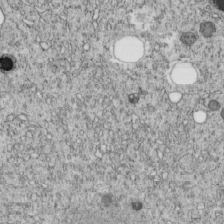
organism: C. elegans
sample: C. elegans embryo early stage